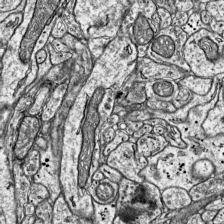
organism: Mouse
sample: Visual Cortex